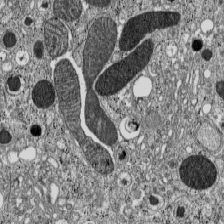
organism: C57BL Mouse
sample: Pancreatic islet